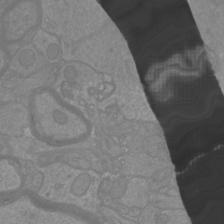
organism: Mouse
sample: Cortical neurons